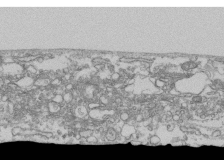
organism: Human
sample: Fibroblast cells